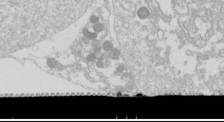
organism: Drosophila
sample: Cell division; meiosis; drosophila spermatocytes